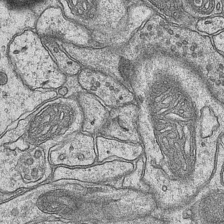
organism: Mouse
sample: CA1 Hippocampus